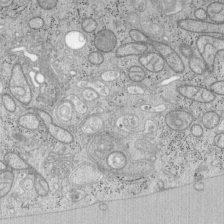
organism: Mouse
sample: OT-I killer T cells with ID8 ovarian cancer cells